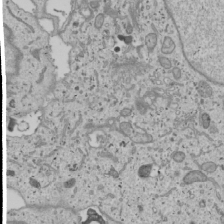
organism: Human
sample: Mitochondria in U2OS cells